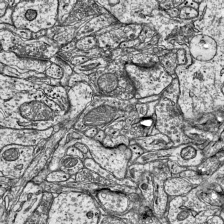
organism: Mouse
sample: Visual Cortex